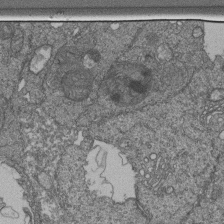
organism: Human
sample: Retinal organoid Rod and Cone cells